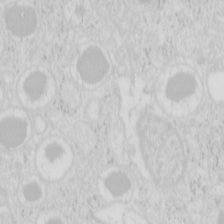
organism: Mouse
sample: Pancreas